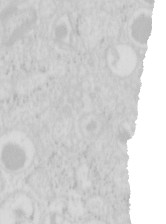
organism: Mouse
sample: Pancreas